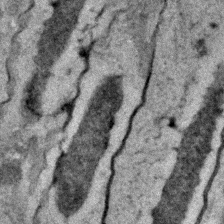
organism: C. elegans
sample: C. elegans embryo